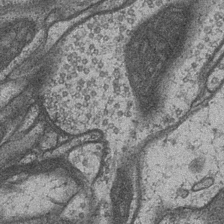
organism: Drosophila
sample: Optic medulla